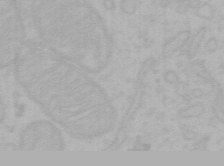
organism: Mouse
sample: Choroid plexus